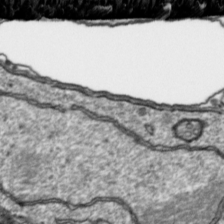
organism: Toxoplasma gondii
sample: Parasites in a vacuole inside a host cell